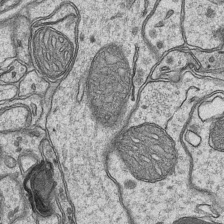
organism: Mouse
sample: CA1 Hippocampus